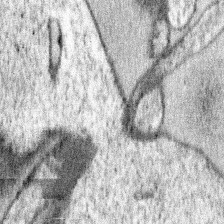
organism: Human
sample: HeLa cells